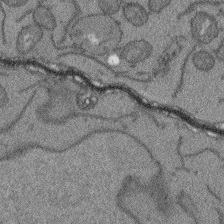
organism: Arabidopsis thaliana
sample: Root tip